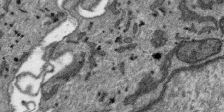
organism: Human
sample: Lung epithelial cells, uninfected (mock) control